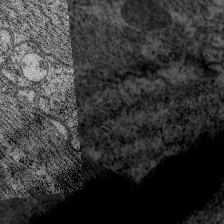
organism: C. elegans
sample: Pharynx